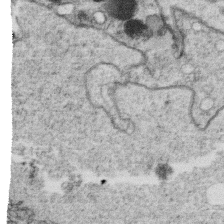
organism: C. elegans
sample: C. elegans oocyte; sperm cells